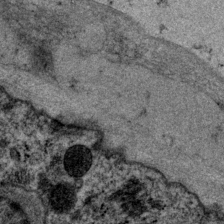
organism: P. pacificus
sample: Pharynx